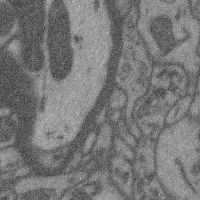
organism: Mouse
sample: Cerebral cortex